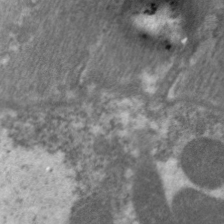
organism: C. elegans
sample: Pharynx